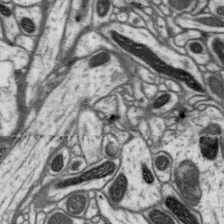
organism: Drosophila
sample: Protocerebral bridge